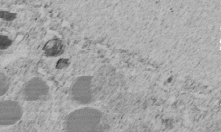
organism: C. elegans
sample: C. elegans embryo early stage